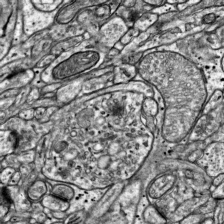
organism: Mouse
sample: Visual Cortex